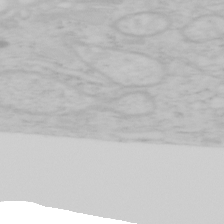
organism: Mouse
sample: OT-I killer T cells with ID8 ovarian cancer cells